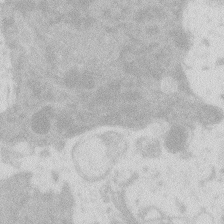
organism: Zebrafish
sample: Macrophage